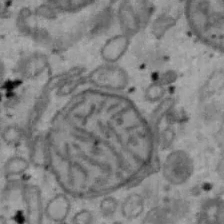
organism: Mouse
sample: Liver